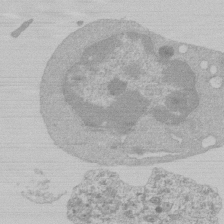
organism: Mouse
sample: Activated Pmel transgenic CD8+ T Cells